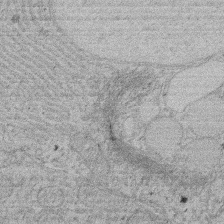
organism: Rat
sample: Salivary granule